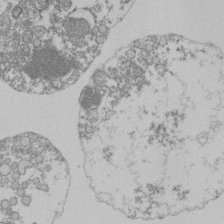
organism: Mouse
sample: Activated Pmel transgenic CD8+ T Cells